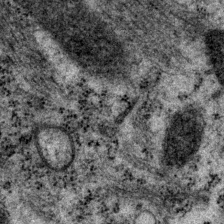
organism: P. pacificus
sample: Pharynx